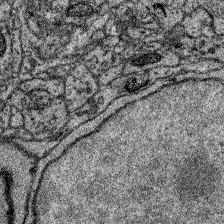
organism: Zebrafish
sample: Larval olfactory bulb